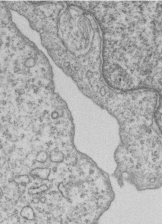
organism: Human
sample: MDA-MB-231 cells